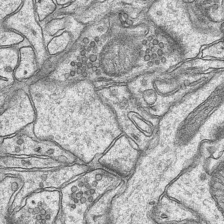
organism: Mouse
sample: CA1 Hippocampus